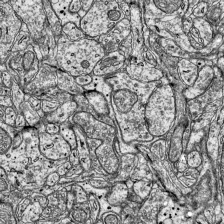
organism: Mouse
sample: Visual Cortex